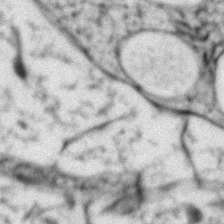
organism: Zebrafish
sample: Zebrafish embryo